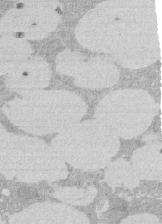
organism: Rat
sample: Salivary granule